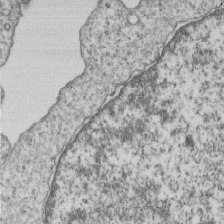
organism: Human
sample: MDA-MB-231 cells